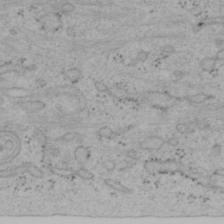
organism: Human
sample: HeLa cells